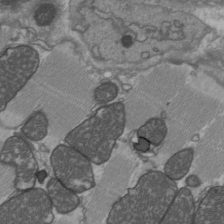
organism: C57BL Mouse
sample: Heart